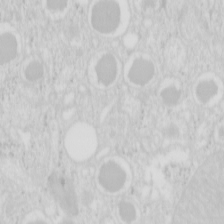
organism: Mouse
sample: Pancreas